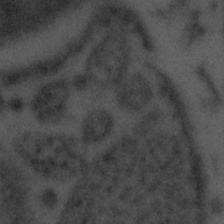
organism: Tuwongella immobilis